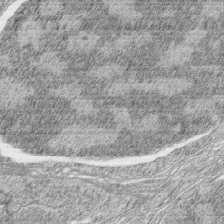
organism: Zebrafish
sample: synaptic ribbons in rod cells and cone cells